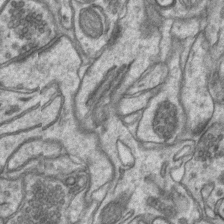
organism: Mouse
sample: CA1 Hippocampus